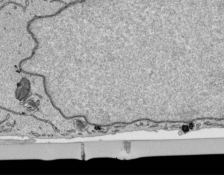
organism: Human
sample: Mitochondria in HCT116 cells